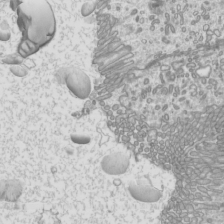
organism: Mouse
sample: Cilia; mouse epididymis